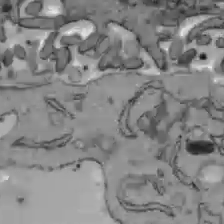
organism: C57BL Mouse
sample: Liver